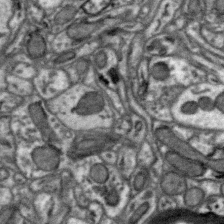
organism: Zebra finch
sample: Brain